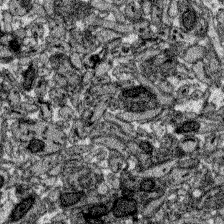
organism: Zebrafish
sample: Larval olfactory bulb